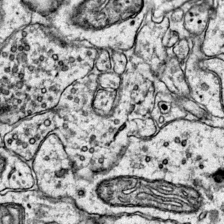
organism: Mouse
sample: Primary visual cortex